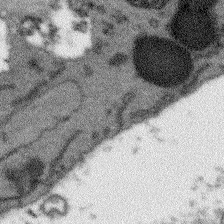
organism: Arabidopsis thaliana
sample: Root tip